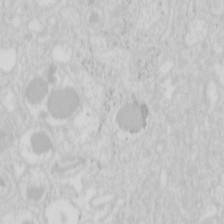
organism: Mouse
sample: Pancreas